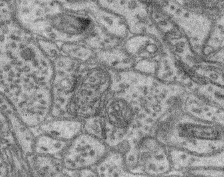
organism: Mouse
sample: Retina